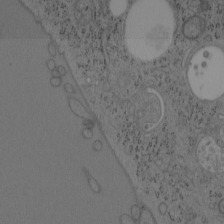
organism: Mouse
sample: OT-I killer T cells with ID8 ovarian cancer cells